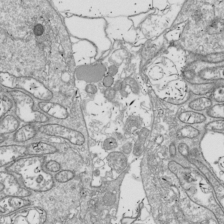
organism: Drosophila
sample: Cell division; meiosis; drosophila spermatocytes